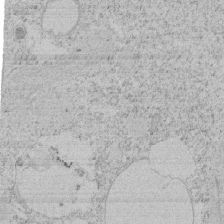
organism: Tetrahymena